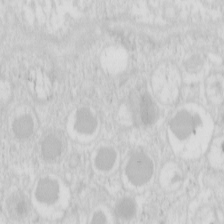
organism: Mouse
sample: Pancreas